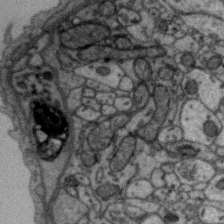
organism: Zebra finch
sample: Brain